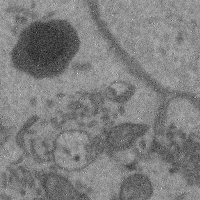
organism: Mouse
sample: Cerebral cortex